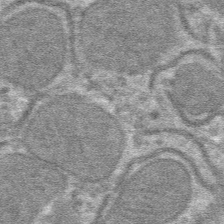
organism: Mouse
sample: Mouse hepatocytes